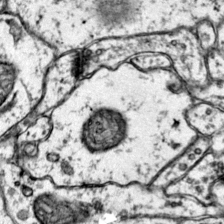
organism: Mouse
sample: Primary visual cortex